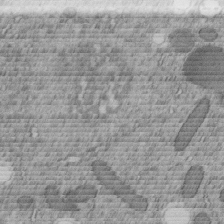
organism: C. elegans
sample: C. elegans embryo early stage